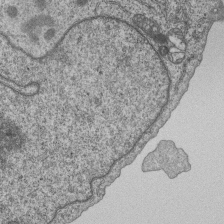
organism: Human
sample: MDA-MB-231 cells